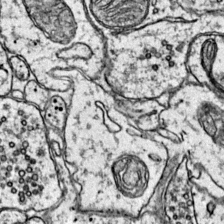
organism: Mouse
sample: Primary visual cortex